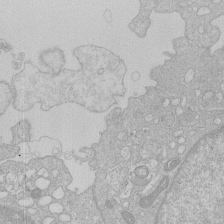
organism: Human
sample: Macrophage cells